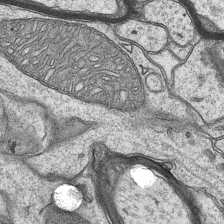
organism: Mouse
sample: CA1 Hippocampus